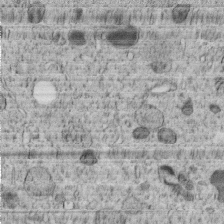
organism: C. elegans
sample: C. elegans embryo early stage